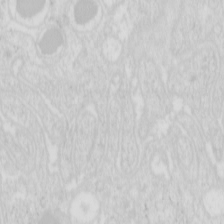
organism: Mouse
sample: Pancreas